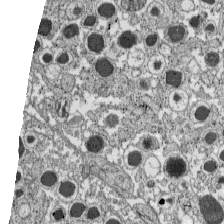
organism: C57BL Mouse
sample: Pancreatic islet